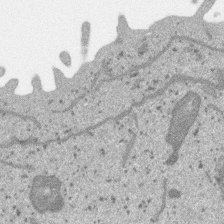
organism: Human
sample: Lung epithelial cells infected with SARS-CoV-2